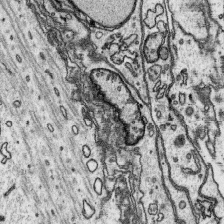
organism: Platynereis dumerilii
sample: Parapodia